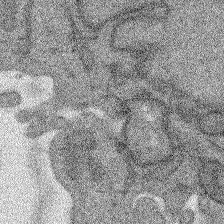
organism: Human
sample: HeLa cells